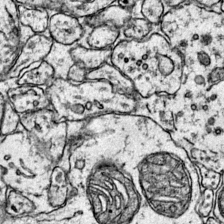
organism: Mouse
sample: Primary visual cortex